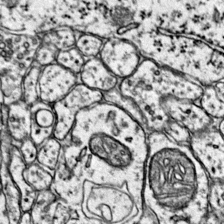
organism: Mouse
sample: Primary visual cortex